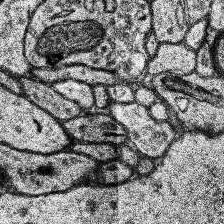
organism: Human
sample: Temporal Lobe